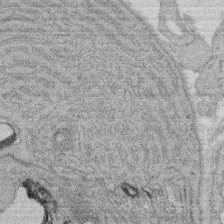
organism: Rat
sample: Salivary granule